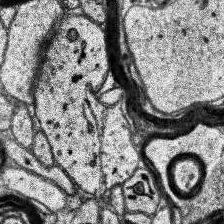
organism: Human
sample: Temporal Lobe